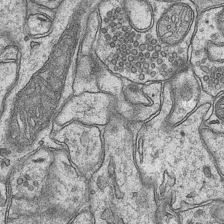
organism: Mouse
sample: CA1 Hippocampus